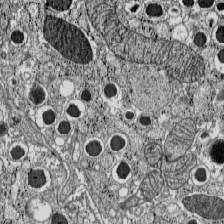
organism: C57BL Mouse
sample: Pancreatic islet